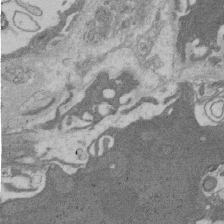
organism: Rat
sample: Salivary granule